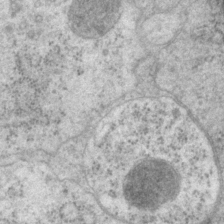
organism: P. pacificus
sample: Pharynx